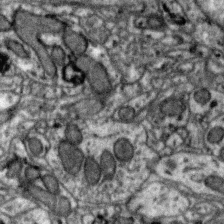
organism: Zebra finch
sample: Brain